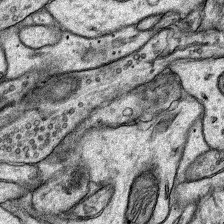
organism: Rat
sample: Hippocampus